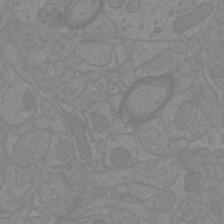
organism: Mouse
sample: Cortical neurons